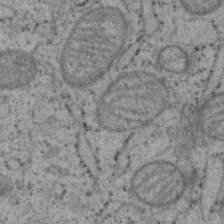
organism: Human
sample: HeLa cells